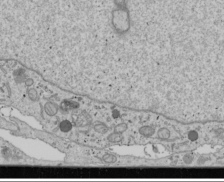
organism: Human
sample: Mitochondria in U2OS cells